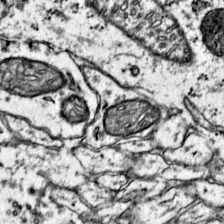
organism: Mouse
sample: Primary visual cortex